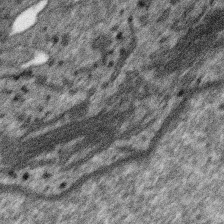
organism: Human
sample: Lung epithelial cells infected with SARS-CoV-2